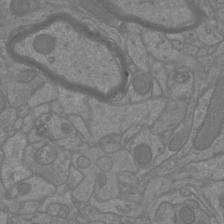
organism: Mouse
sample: Cortical neurons